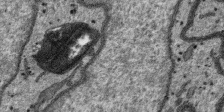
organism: Human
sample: Lung epithelial cells, uninfected (mock) control